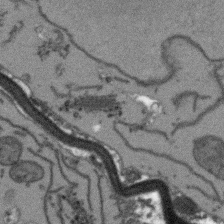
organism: Arabidopsis thaliana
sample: Root tip